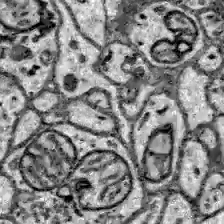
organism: Zebrafish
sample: Brain